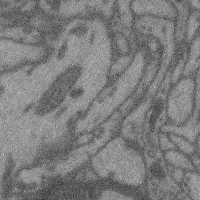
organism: Mouse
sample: Cerebral cortex